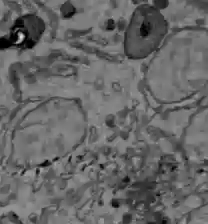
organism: C57BL Mouse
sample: Liver